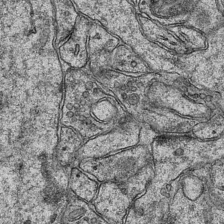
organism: Mouse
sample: CA1 Hippocampus